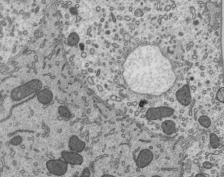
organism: Mouse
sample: Mouse epididymis efferent ductule cilia